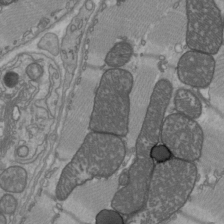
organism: C57BL Mouse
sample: Heart